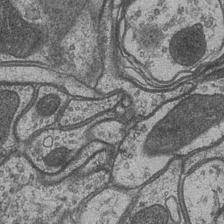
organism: Drosophila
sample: Optic medulla